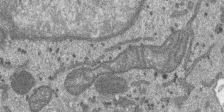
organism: Human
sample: Lung epithelial cells infected with SARS-CoV-2